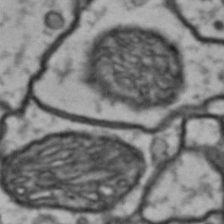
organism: Drosophila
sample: Brain